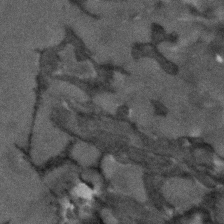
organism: Human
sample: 1205lu cells